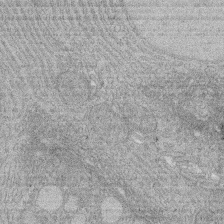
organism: Rat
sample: Salivary granule